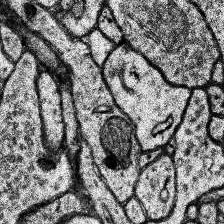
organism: Human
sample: Temporal Lobe